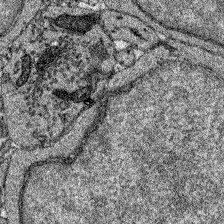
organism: Zebrafish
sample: Larval olfactory bulb